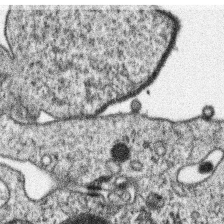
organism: Human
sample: HeLa cells